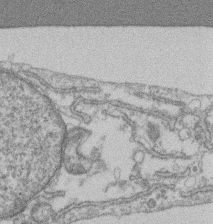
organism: Mouse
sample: T cell stromal cell synapse